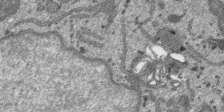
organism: Human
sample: Lung epithelial cells infected with SARS-CoV-2